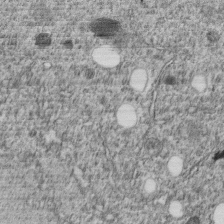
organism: C. elegans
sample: C. elegans embryo early stage